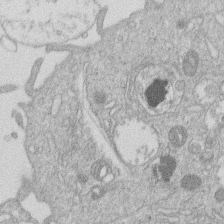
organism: Human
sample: Macrophage cells